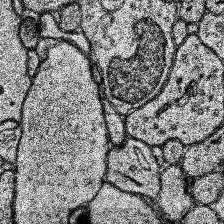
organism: Human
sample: Temporal Lobe